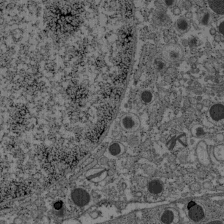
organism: C57BL Mouse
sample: Pancreatic islet